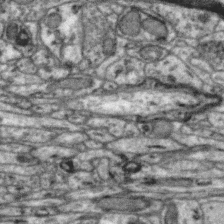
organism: Zebra finch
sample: Brain